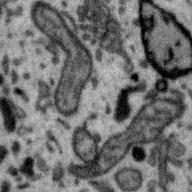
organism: Zebra finch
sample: Brain